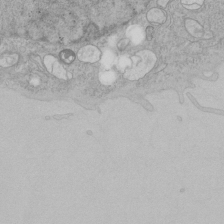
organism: Human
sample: Mitochondria in HCT116 cells